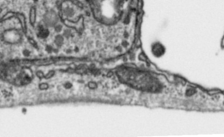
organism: Toxoplasma gondii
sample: Parasites in a vacuole inside a host cell